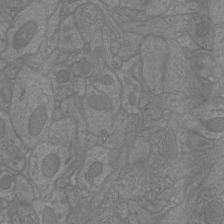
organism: Mouse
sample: Cortical neurons